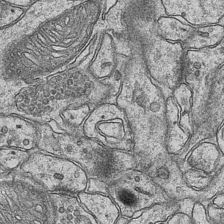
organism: Mouse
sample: CA1 Hippocampus